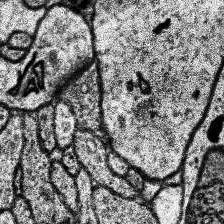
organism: Human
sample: Temporal Lobe